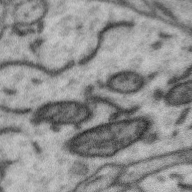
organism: Zebra finch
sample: Brain